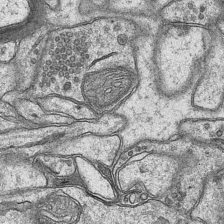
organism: Mouse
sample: CA1 Hippocampus